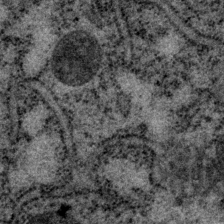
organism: P. pacificus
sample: Pharynx